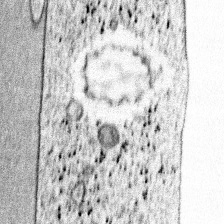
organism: Human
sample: HeLa cells